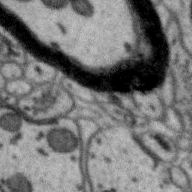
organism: Zebra finch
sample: Brain